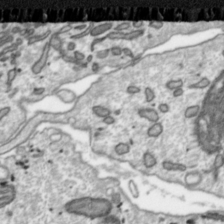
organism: Toxoplasma gondii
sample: Parasites in a vacuole inside a host cell